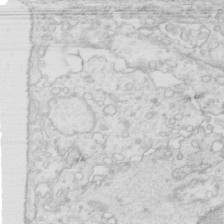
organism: Mouse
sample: Multiciliated cells